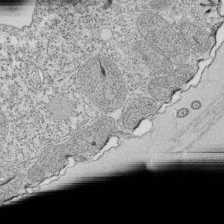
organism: Tetrahymena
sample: Cilia in tetrahymena